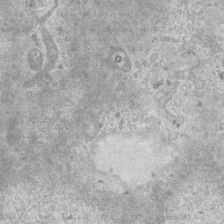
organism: Mouse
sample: Centriole in ependymal cells